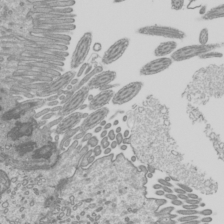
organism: Mouse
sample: Cilia; mouse epididymis